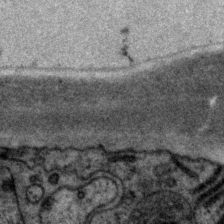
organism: P. pacificus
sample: Pharynx